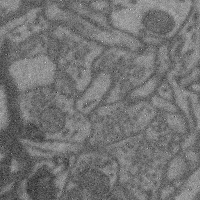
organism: Mouse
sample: Cerebral cortex